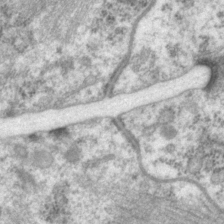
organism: P. pacificus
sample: Pharynx